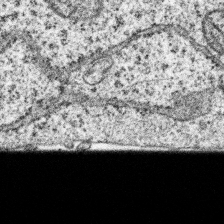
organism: Human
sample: HeLa cells